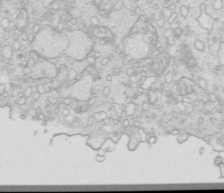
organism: Mouse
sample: Multiciliated cells